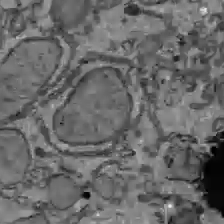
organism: C57BL Mouse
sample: Liver